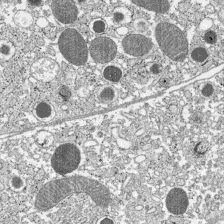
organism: C57BL Mouse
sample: Pancreatic islet